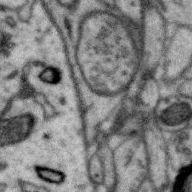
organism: Zebra finch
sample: Brain